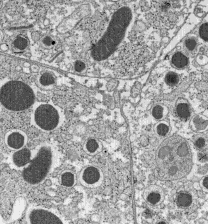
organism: C57BL Mouse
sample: Pancreatic islet